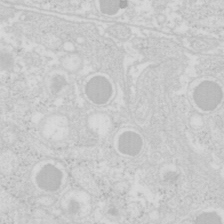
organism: Mouse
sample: Pancreas